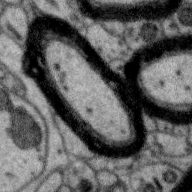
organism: Zebra finch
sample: Brain